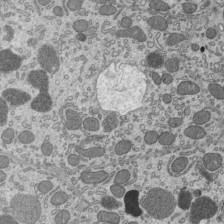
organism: Mouse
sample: Mouse epididymis efferent ductule cilia